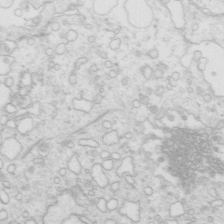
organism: Mouse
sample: Multiciliated cells